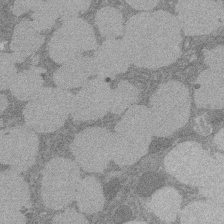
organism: Rat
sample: Salivary granule